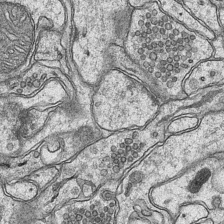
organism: Mouse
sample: CA1 Hippocampus